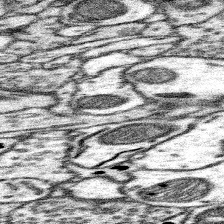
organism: Mouse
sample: Somatosensory cortex neuropil